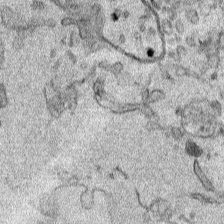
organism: Human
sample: Mitochondria in HCT116 cells